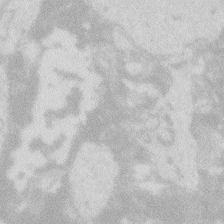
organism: Zebrafish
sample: Macrophage